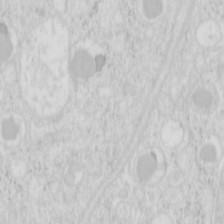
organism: Mouse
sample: Pancreas